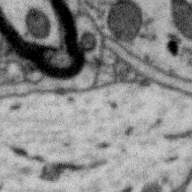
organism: Zebra finch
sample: Brain